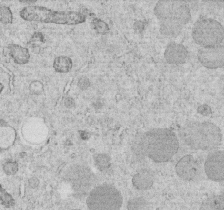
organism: C. elegans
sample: C. elegans embryo early stage